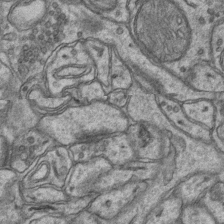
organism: Mouse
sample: CA1 Hippocampus